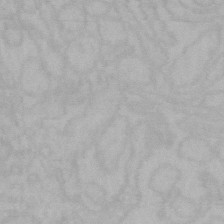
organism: Mouse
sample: Choroid plexus